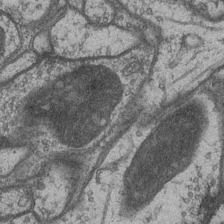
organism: Drosophila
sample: Optic medulla